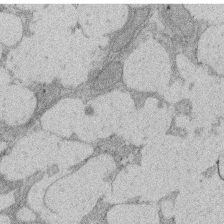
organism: Rat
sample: Salivary granule